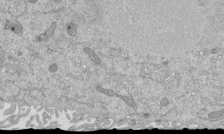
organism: Mouse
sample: ED-1 cell nuclei; centrioles